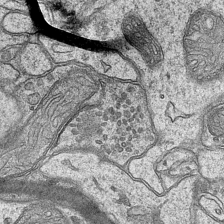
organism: Mouse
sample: CA1 Hippocampus